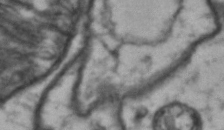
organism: Drosophila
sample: Brain